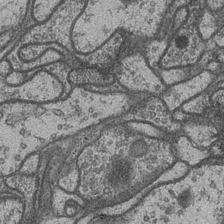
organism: Drosophila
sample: Optic medulla